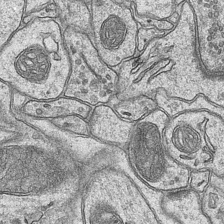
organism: Mouse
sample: CA1 Hippocampus